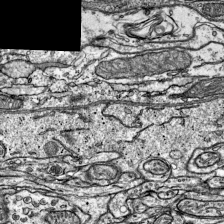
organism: Mouse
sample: Visual Cortex